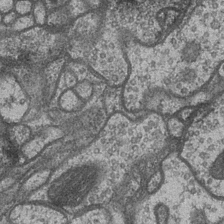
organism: Drosophila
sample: Optic medulla